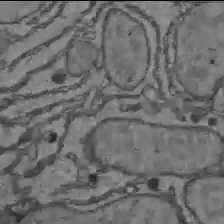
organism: C57BL Mouse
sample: Liver